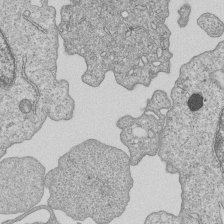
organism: Human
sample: MDA-MB-231 cells